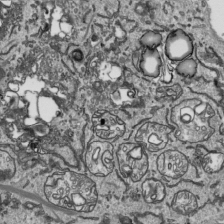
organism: Human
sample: Mitochondria in HCT116 cells